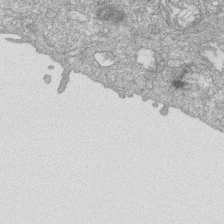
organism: Human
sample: HeLa cell HIV synapse